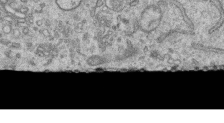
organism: Human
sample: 1205lu cells